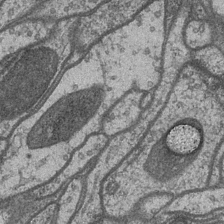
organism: Drosophila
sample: Optic medulla